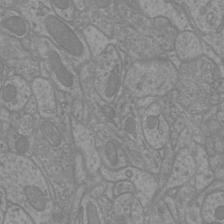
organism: Mouse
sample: Cortical neurons